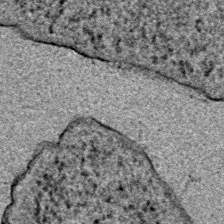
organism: E. coli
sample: E. Coli Bacteria